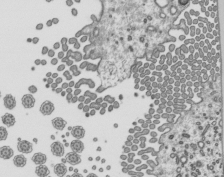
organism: Mouse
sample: Mouse epididymis efferent ductule cilia